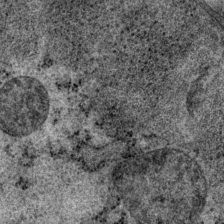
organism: P. pacificus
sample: Pharynx